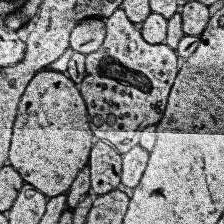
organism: Human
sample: Temporal Lobe